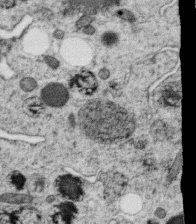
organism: C. elegans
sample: C. elegans oocyte; sperm cells